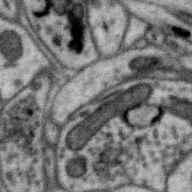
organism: Zebra finch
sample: Brain